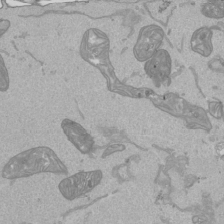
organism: Human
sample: Mitochondria in HCT116 cells